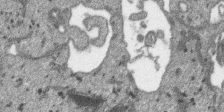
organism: Human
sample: Lung epithelial cells infected with SARS-CoV-2